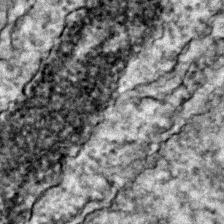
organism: Zebrafish